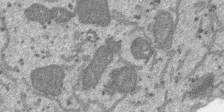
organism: Human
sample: Lung epithelial cells infected with SARS-CoV-2